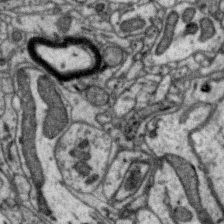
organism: Zebra finch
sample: Brain